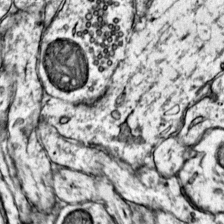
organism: Mouse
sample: Primary visual cortex